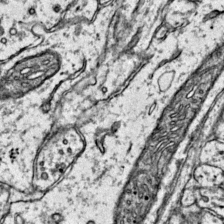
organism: Mouse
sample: Primary visual cortex